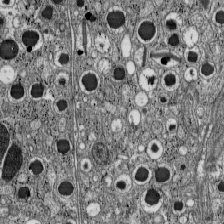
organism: C57BL Mouse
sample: Pancreatic islet